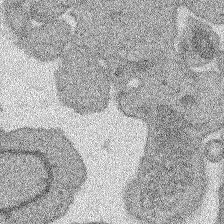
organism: Human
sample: HeLa cells